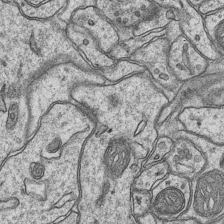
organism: Mouse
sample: CA1 Hippocampus